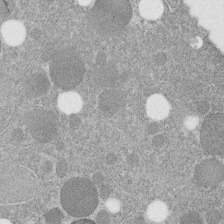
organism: C. elegans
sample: C. elegans embryo early stage